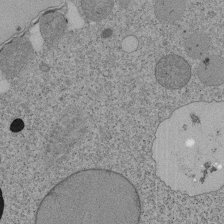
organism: Tetrahymena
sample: Cilia in tetrahymena